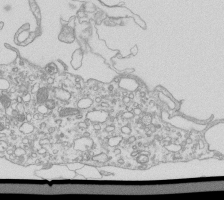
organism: Mouse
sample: Macrophages